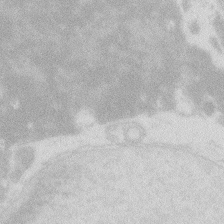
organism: Zebrafish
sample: Macrophage